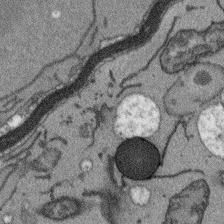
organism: Arabidopsis thaliana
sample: Root tip